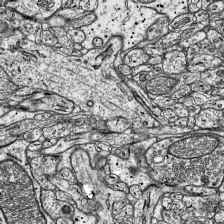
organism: Mouse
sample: Visual Cortex